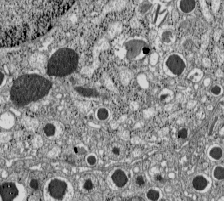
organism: C57BL Mouse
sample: Pancreatic islet